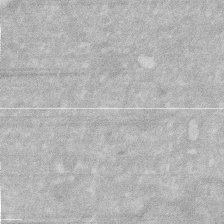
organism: Human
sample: HIV infected U937 cells